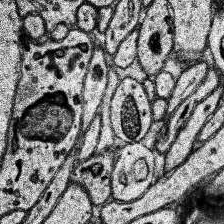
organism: Human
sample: Temporal Lobe